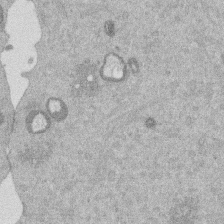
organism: Mouse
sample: Dividing mouse embryo 1 cell stage